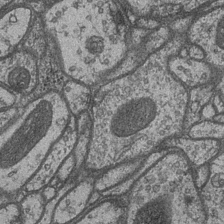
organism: Drosophila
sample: Optic medulla